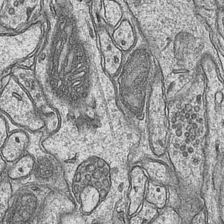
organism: Mouse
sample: CA1 Hippocampus